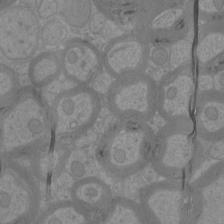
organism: Mouse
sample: Cortical neurons